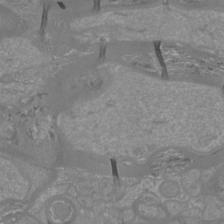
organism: Mouse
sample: Cortical neurons